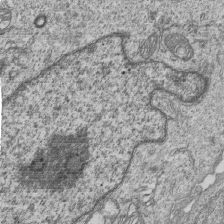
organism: Human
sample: MDA-MB-231 cells